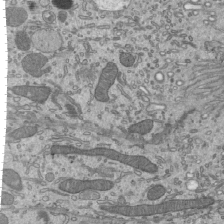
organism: Mouse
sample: Mouse epididymis efferent ductule cilia